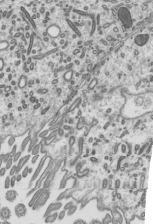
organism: Mouse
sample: Mouse epididymis efferent ductule cilia